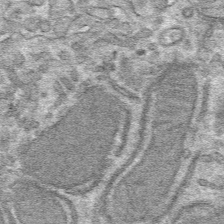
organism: Mouse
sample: Mouse hepatocytes